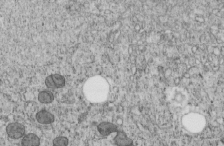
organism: C. elegans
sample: C. elegans embryo early stage